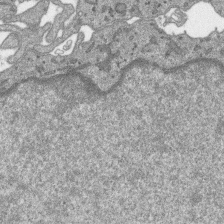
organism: Human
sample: Lung epithelial cells infected with SARS-CoV-2